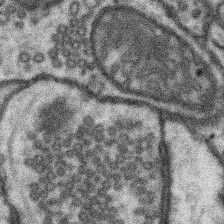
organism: Mouse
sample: Somatosensory cortex neuropil